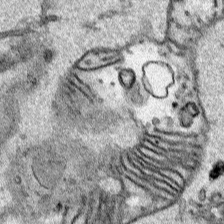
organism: Human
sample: Mitochondria in HCT116 cells